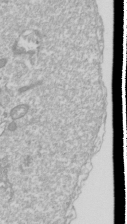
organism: Drosophila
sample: Cell division; meiosis; drosophila spermatocytes